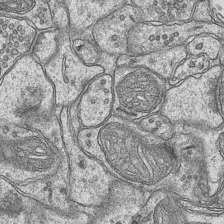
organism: Mouse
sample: CA1 Hippocampus